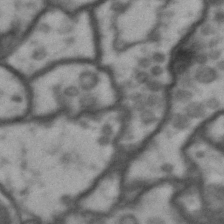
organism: Drosophila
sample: Brain